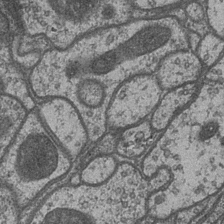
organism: Drosophila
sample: Optic medulla